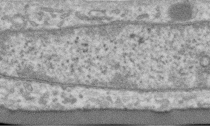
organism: Human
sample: Centriole in RPE cells